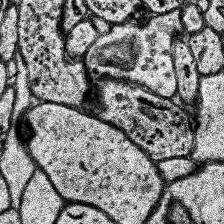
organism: Human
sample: Temporal Lobe